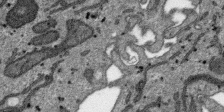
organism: Human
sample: Lung epithelial cells, uninfected (mock) control